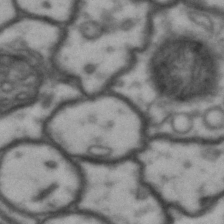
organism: Drosophila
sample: Brain